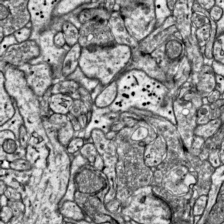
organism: Mouse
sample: Visual Cortex